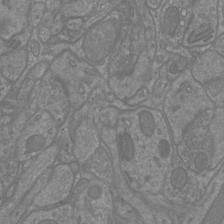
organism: Mouse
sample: Cortical neurons